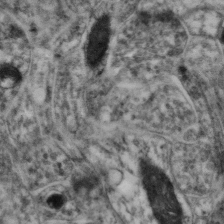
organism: Mouse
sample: Neocortex